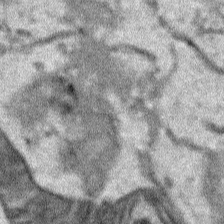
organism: Human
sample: Mitochondria in HCT116 cells